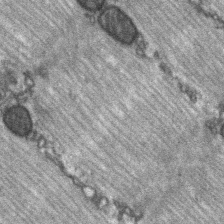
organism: C57BL Mouse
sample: Soleus